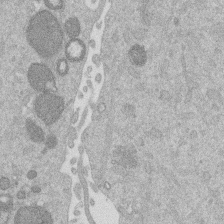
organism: Mouse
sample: Dividing mouse embryo 1 cell stage